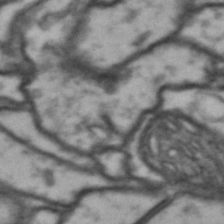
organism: Drosophila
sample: Brain